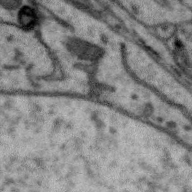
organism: Zebra finch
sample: Brain